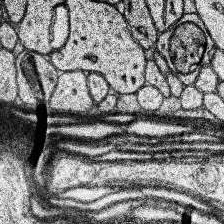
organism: Human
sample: Temporal Lobe